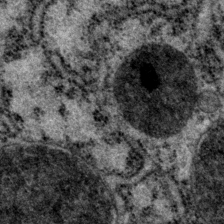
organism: P. pacificus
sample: Pharynx